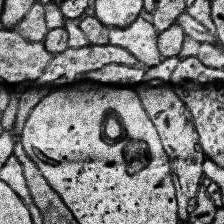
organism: Human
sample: Temporal Lobe